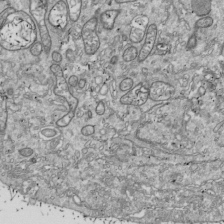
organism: Drosophila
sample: Cell division; meiosis; drosophila spermatocytes